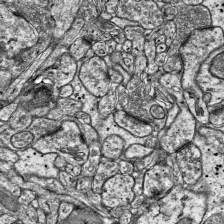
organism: Mouse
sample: Visual Cortex